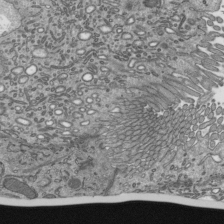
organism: Mouse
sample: Mouse epididymis efferent ductule cilia